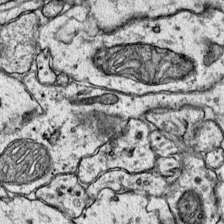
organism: Mouse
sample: Primary visual cortex